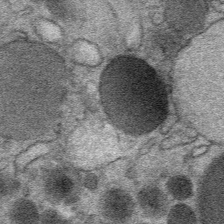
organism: Mouse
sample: Mouse Salivary gland